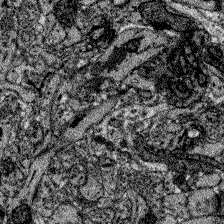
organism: Zebrafish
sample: Larval olfactory bulb